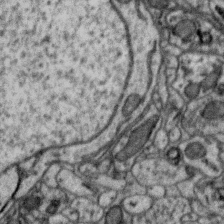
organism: Zebra finch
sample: Brain